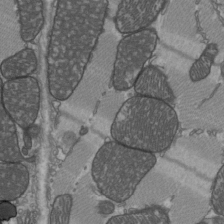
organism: C57BL Mouse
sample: Heart